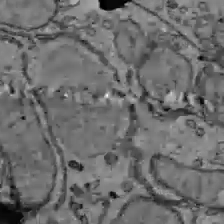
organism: C57BL Mouse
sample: Liver